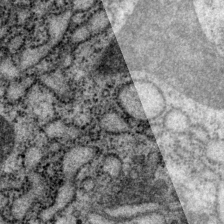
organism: P. pacificus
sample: Pharynx